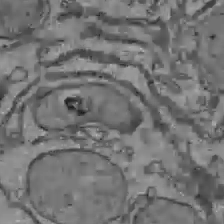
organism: C57BL Mouse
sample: Liver